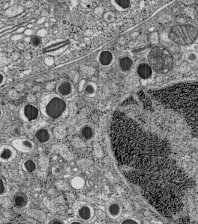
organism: C57BL Mouse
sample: Pancreatic islet